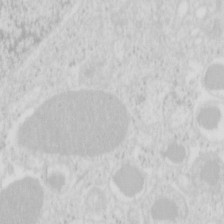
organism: Mouse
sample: Pancreas